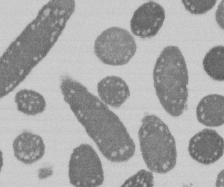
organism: E. coli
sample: Bacterial nucleoid